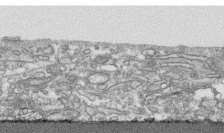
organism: Human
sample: CRL-1474